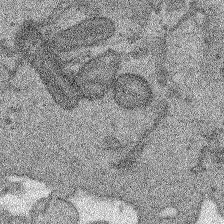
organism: Human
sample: HeLa cells